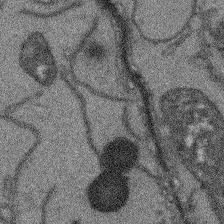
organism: Arabidopsis thaliana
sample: Root tip